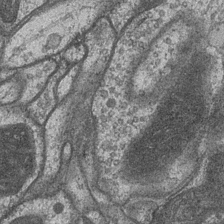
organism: Drosophila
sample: Optic medulla